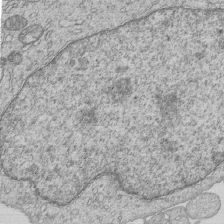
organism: Human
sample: MDA-MB-231 cells